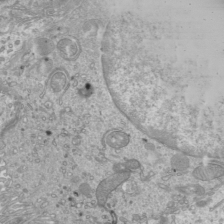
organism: Mouse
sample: Cilia; mouse epididymis